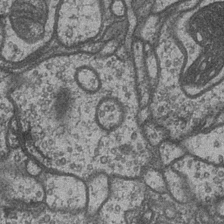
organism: Drosophila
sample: Optic medulla